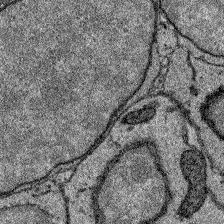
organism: Zebrafish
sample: Larval olfactory bulb